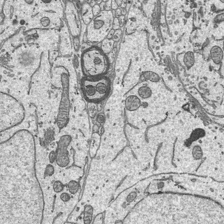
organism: Mouse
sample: Suprachiasmatic nucleus